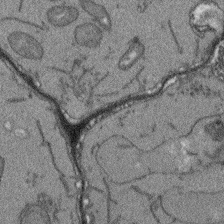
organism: Arabidopsis thaliana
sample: Root tip